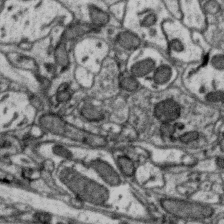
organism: Zebra finch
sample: Brain